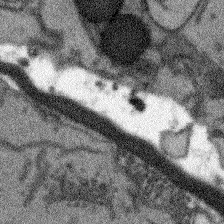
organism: Arabidopsis thaliana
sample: Root tip